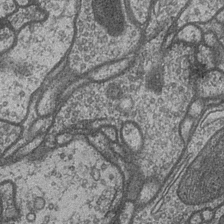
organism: Drosophila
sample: Optic medulla